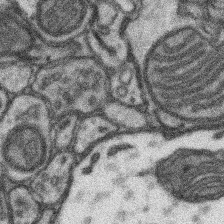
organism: Mouse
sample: Somatosensory cortex neuropil